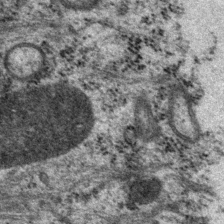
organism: P. pacificus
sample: Pharynx